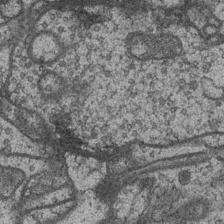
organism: Drosophila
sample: Optic medulla